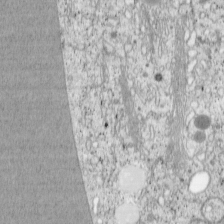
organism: African green monkey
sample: COS-7 cells